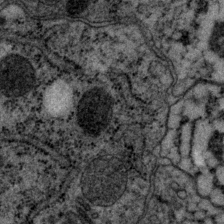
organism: P. pacificus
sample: Pharynx